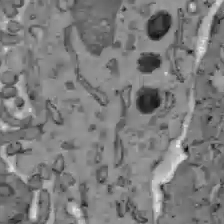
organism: C57BL Mouse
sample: Liver